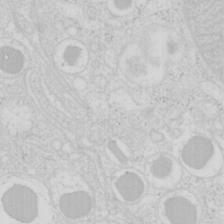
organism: Mouse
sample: Pancreas